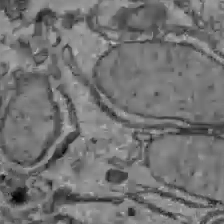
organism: C57BL Mouse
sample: Liver